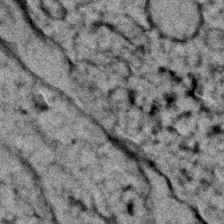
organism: Zebrafish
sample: Zebrafish embryo